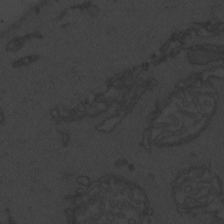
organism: Zebrafish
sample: Macrophage infected with Toxoplasma gondii